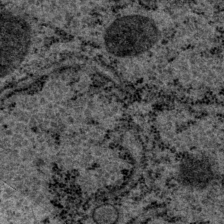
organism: P. pacificus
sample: Pharynx